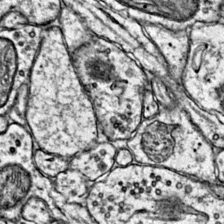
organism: Mouse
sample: Primary visual cortex